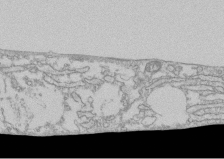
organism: Human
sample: CRL-1474